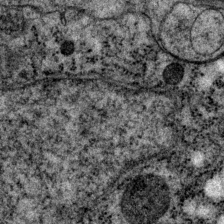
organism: P. pacificus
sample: Pharynx